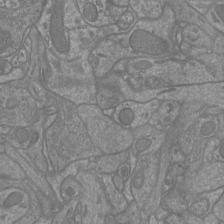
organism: Mouse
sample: Cortical neurons